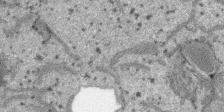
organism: Human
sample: Lung epithelial cells infected with SARS-CoV-2